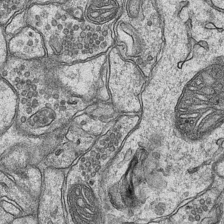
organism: Mouse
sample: CA1 Hippocampus